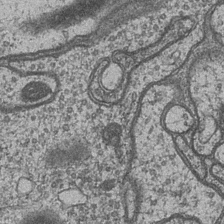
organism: Drosophila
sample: Optic medulla